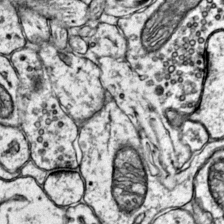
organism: Mouse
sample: Primary visual cortex